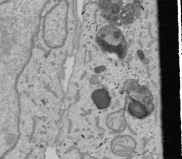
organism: Human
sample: Mitochondria in U2OS cells